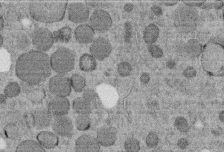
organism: C. elegans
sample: C. elegans embryo early stage